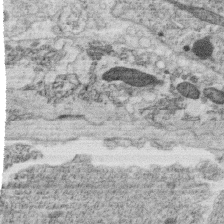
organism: C. elegans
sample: C. elegans oocyte; sperm cells